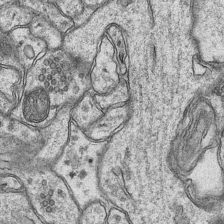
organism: Mouse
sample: CA1 Hippocampus